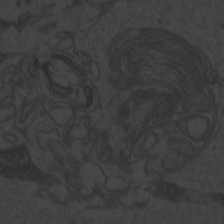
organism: Zebrafish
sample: Macrophage infected with Toxoplasma gondii